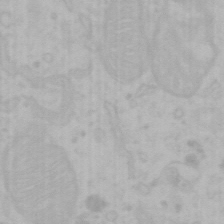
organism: Mouse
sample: Choroid plexus